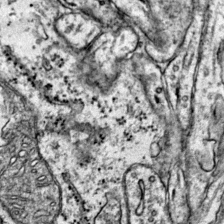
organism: Mouse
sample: Primary visual cortex